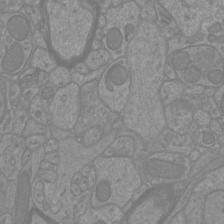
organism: Mouse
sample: Cortical neurons